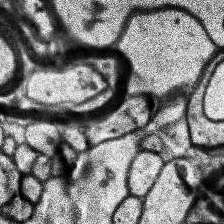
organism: Human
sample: Temporal Lobe